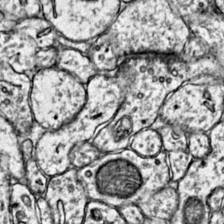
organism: Mouse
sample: Primary visual cortex